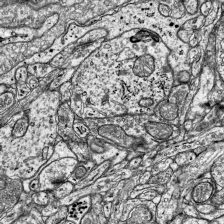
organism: Mouse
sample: Visual Cortex